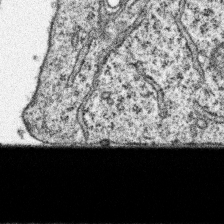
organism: Human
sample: HeLa cells